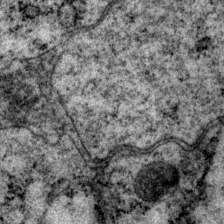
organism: P. pacificus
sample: Pharynx